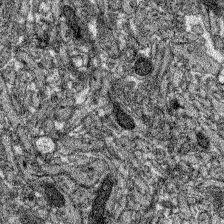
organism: Zebrafish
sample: Larval olfactory bulb